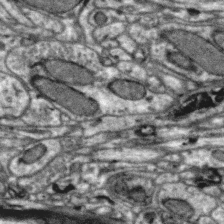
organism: Zebra finch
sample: Brain